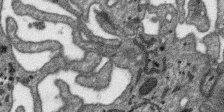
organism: Human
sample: Lung epithelial cells infected with SARS-CoV-2